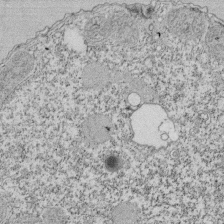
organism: Tetrahymena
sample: Cilia in tetrahymena